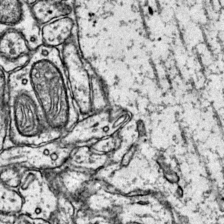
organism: Mouse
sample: Primary visual cortex